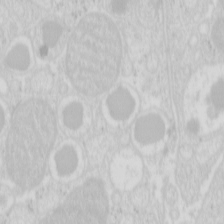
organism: Mouse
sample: Pancreas